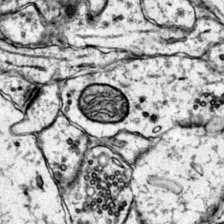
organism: Mouse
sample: Primary visual cortex